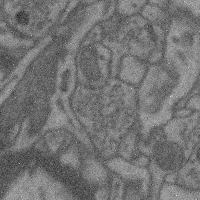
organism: Mouse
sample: Cerebral cortex